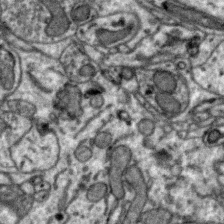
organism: Zebra finch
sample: Brain